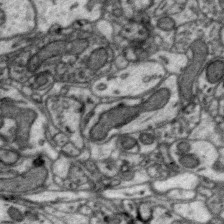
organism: Zebra finch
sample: Brain